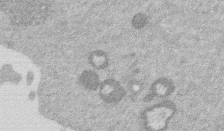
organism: Mouse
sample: Dividing mouse embryo 1 cell stage